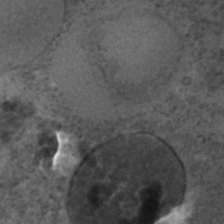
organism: C. elegans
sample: C. elegans embryo